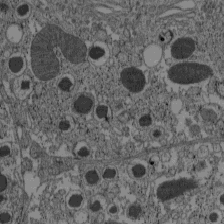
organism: C57BL Mouse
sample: Pancreatic islet